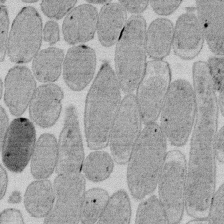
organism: E. coli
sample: Bacterial nucleoid